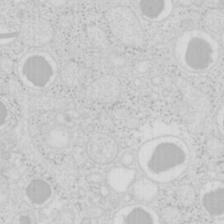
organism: Mouse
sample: Pancreas